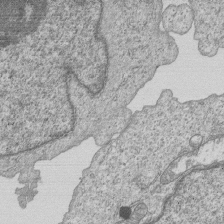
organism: Human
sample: MDA-MB-231 cells